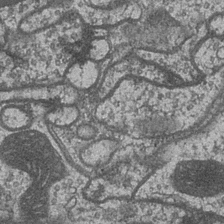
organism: Drosophila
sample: Optic medulla